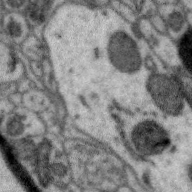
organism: Zebra finch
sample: Brain